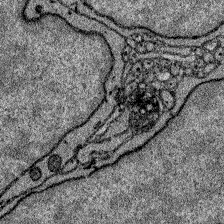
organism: Zebrafish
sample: Larval olfactory bulb